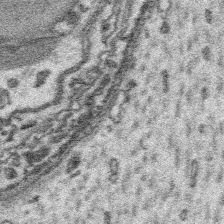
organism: Platynereis dumerilii